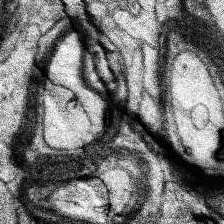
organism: Human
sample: Temporal Lobe